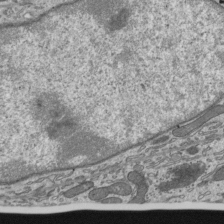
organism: Mouse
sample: Mouse epididymis efferent ductule cilia